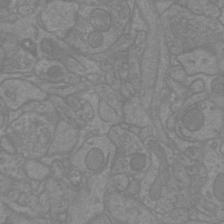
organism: Mouse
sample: Cortical neurons